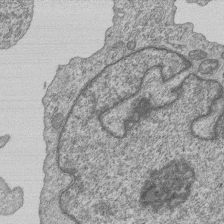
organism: Human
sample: MDA-MB-231 cells